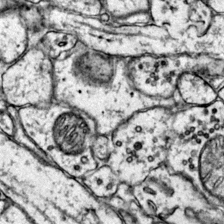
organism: Mouse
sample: Primary visual cortex